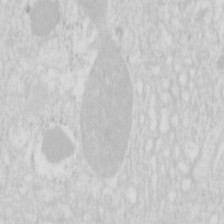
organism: Mouse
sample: Pancreas